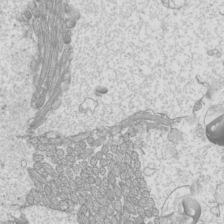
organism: Mouse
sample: Cilia; mouse epididymis